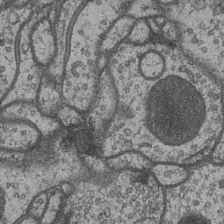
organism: Drosophila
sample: Optic medulla